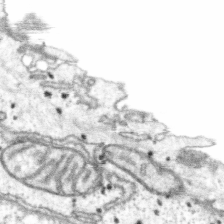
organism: Human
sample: HeLa cells